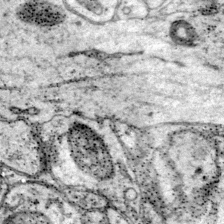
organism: Mouse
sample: Primary visual cortex